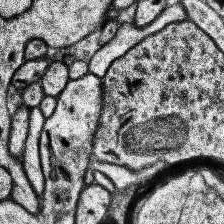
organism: Human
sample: Temporal Lobe